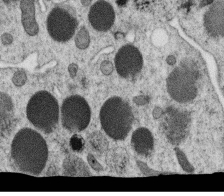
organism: C. elegans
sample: C. elegans oocyte; sperm cells